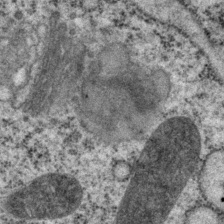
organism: P. pacificus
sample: Pharynx